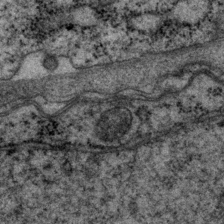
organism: P. pacificus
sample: Pharynx